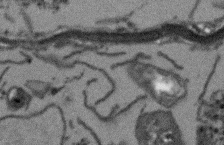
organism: Arabidopsis thaliana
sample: Root tip